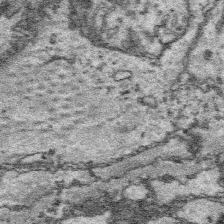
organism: Platynereis dumerilii